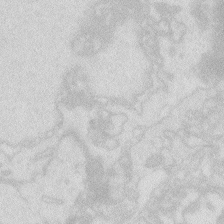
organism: Zebrafish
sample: Macrophage